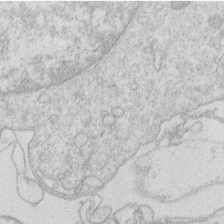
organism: Human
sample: Macrophage cells